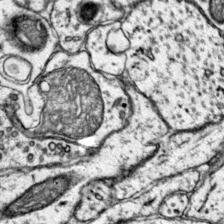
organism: Mouse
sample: Primary visual cortex